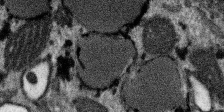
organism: Human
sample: Lung epithelial cells infected with SARS-CoV-2